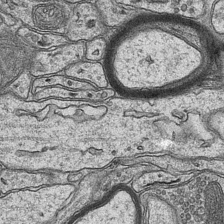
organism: Mouse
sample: CA1 Hippocampus